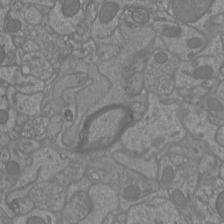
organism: Mouse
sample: Cortical neurons